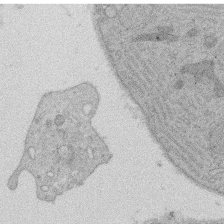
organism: Rat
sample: Salivary granule